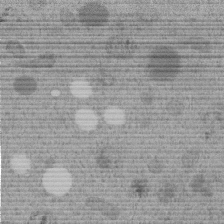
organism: C. elegans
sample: C. elegans embryo early stage